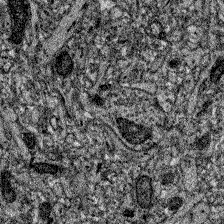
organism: Zebrafish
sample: Larval olfactory bulb